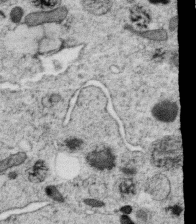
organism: C. elegans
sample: C. elegans oocyte; sperm cells